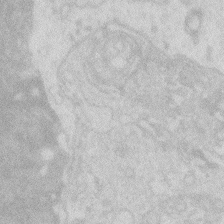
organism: Zebrafish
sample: Macrophage